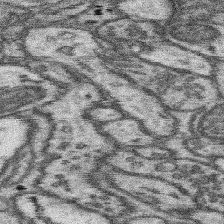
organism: Mouse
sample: Somatosensory cortex neuropil